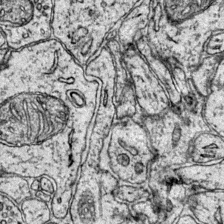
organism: Mouse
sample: Primary visual cortex